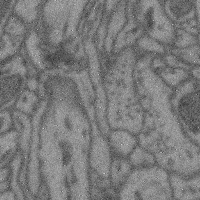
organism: Mouse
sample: Cerebral cortex